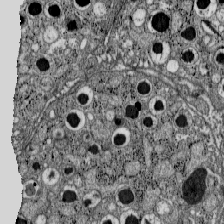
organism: C57BL Mouse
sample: Pancreatic islet